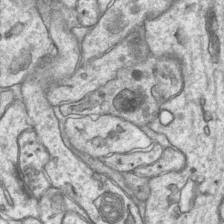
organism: Mouse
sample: CA1 Hippocampus